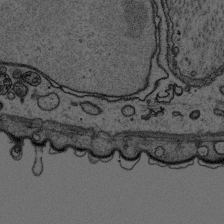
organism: Platynereis dumerilii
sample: Parapodia